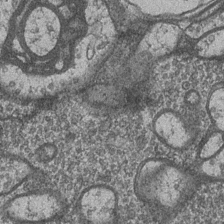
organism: Drosophila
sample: Optic medulla